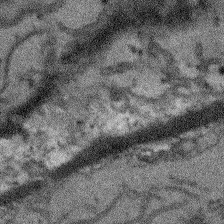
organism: Arabidopsis thaliana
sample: Root tip